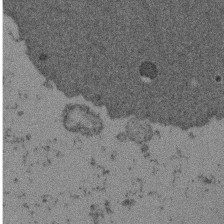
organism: Mouse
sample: Dividing mouse embryo 1 cell stage